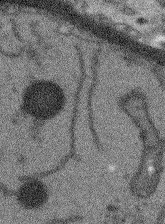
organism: Arabidopsis thaliana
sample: Root tip